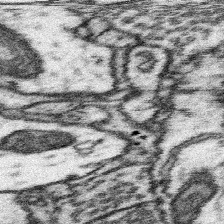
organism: Mouse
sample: Somatosensory cortex neuropil